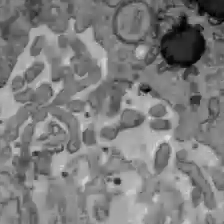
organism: C57BL Mouse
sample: Liver